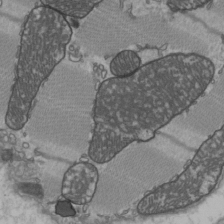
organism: C57BL Mouse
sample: Heart